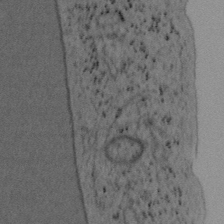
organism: Human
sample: HeLa cells